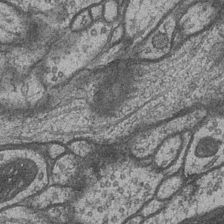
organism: Drosophila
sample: Optic medulla